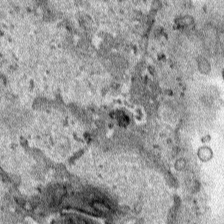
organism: Human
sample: Mitochondria in HCT116 cells